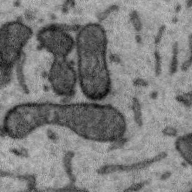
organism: Zebra finch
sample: Brain